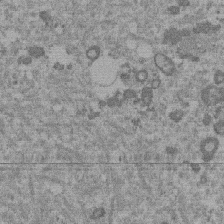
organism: Mouse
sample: Dividing mouse embryo 1 cell stage